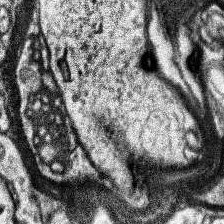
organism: Human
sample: Temporal Lobe